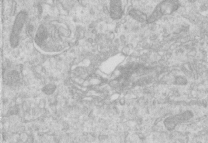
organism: Human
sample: Centriole in RPE cells